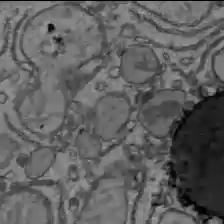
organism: C57BL Mouse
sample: Liver